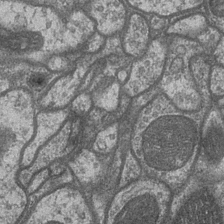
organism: Drosophila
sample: Optic medulla